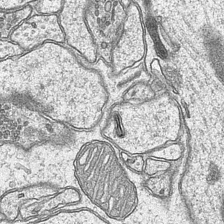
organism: Mouse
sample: CA1 Hippocampus